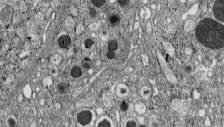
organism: C57BL Mouse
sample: Pancreatic islet